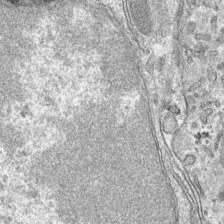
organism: Mouse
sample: Mouse hepatocytes